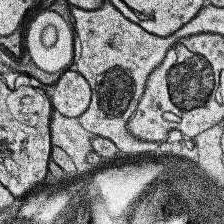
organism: Human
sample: Temporal Lobe